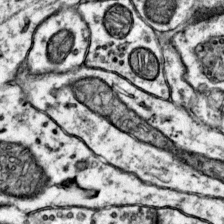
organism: Mouse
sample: Primary visual cortex